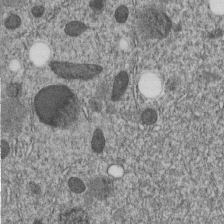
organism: C. elegans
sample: C. elegans embryo early stage